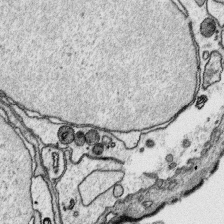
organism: Platynereis dumerilii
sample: Parapodia